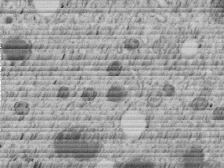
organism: C. elegans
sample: C. elegans embryo early stage